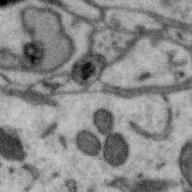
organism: Zebra finch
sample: Brain